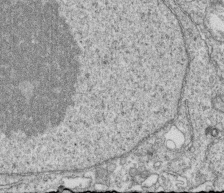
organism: Human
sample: HeLa cell HIV synapse